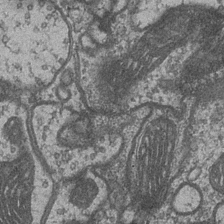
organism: Drosophila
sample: Optic medulla